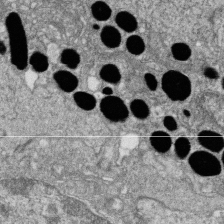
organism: Zebrafish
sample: Cilia; retinal pigment epithelium